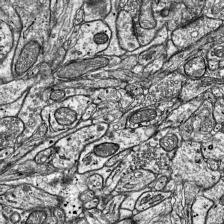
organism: Mouse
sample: Visual Cortex